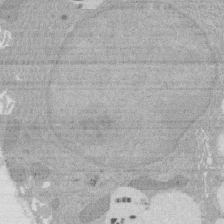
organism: Rat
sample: Salivary granule